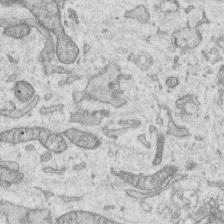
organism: Human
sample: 1205lu cells